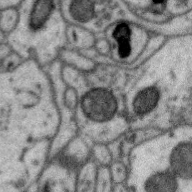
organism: Zebra finch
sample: Brain